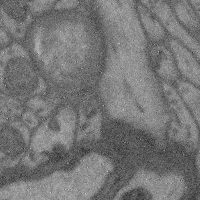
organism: Mouse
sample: Cerebral cortex